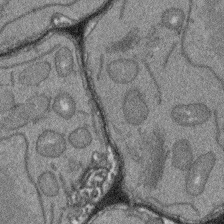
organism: Arabidopsis thaliana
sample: Root tip